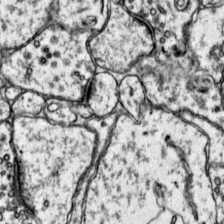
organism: Mouse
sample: Primary visual cortex